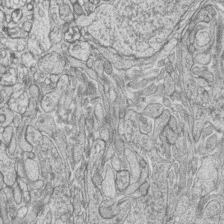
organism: Zebrafish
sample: synaptic ribbons in rod cells and cone cells